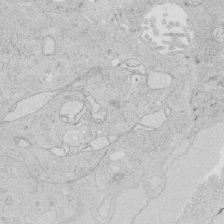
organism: Human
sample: Mitochondria in HCT116 cells